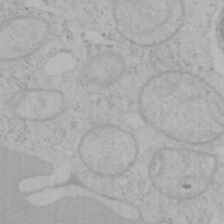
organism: Mouse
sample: OT-I killer T cells with ID8 ovarian cancer cells